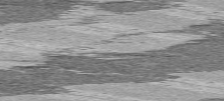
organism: C57BL Mouse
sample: Heart